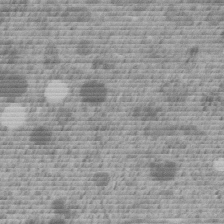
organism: C. elegans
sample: C. elegans embryo early stage